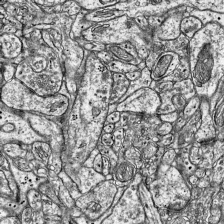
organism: Mouse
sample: Visual Cortex